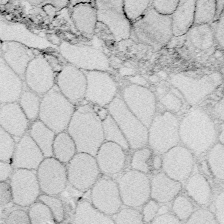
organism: Zebrafish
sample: Whole-Brain